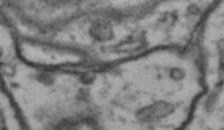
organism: Drosophila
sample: Brain